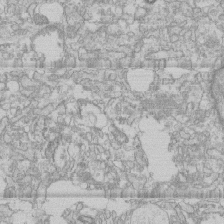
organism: Human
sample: CRL-1474